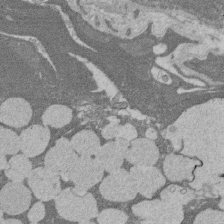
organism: Rat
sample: Salivary granule